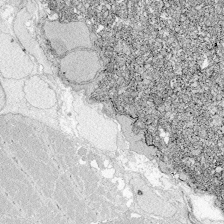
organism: Zebrafish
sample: Whole-Brain